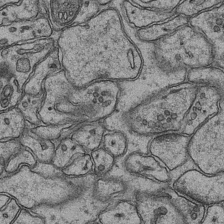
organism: Mouse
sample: CA1 Hippocampus